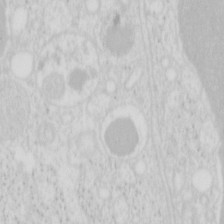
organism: Mouse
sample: Pancreas